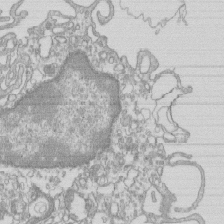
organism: Mouse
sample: Macrophages